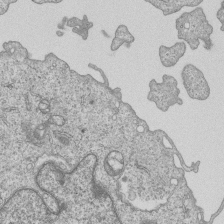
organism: Human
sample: MDA-MB-231 cells